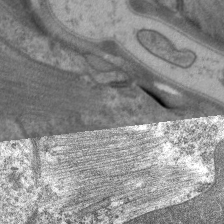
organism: C. elegans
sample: Pharynx